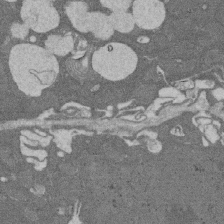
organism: Rat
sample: Salivary granule